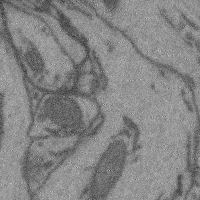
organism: Mouse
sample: Cerebral cortex